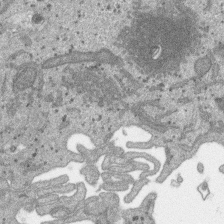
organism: Human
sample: Lung epithelial cells infected with SARS-CoV-2